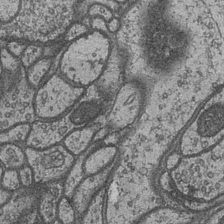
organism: Drosophila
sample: Optic medulla